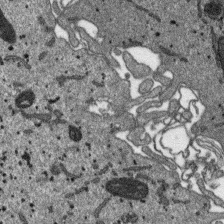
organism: Human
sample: Lung epithelial cells infected with SARS-CoV-2